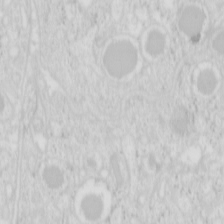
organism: Mouse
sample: Pancreas